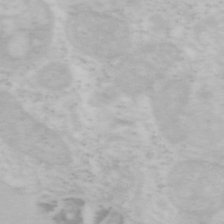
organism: Mouse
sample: OT-I killer T cells with ID8 ovarian cancer cells